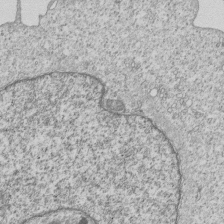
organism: Human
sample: MDA-MB-231 cells